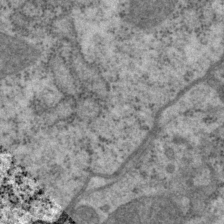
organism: P. pacificus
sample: Pharynx